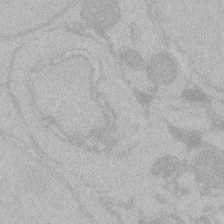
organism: Zebrafish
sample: Macrophage infected with Toxoplasma gondii